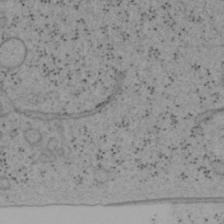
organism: Human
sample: HeLa cells